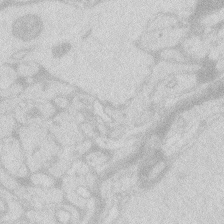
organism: Zebrafish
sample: Macrophage